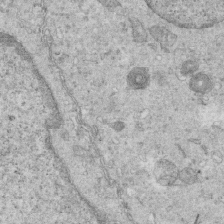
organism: Mouse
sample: Multiciliated cells